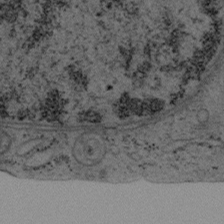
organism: Human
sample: HeLa cells